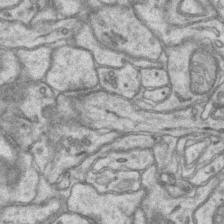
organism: Mouse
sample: CA1 Hippocampus